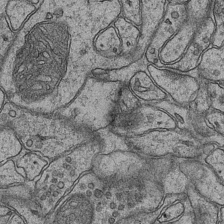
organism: Mouse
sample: CA1 Hippocampus